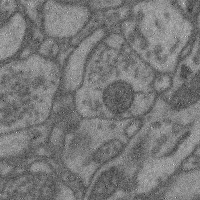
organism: Mouse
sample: Cerebral cortex